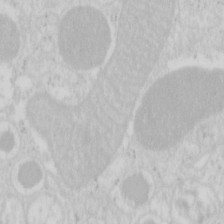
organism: Mouse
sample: Pancreas